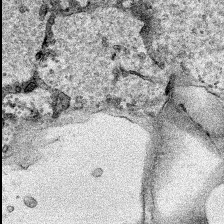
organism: Human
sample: Mitochondria in HCT116 cells